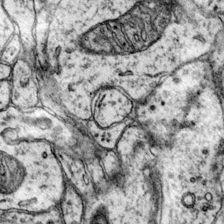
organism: Mouse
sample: Primary visual cortex